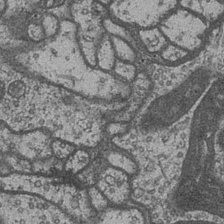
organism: Drosophila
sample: Optic medulla